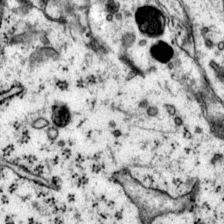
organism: Mouse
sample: Primary visual cortex